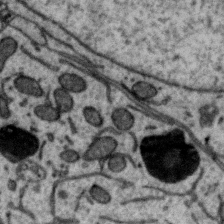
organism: Zebra finch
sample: Brain